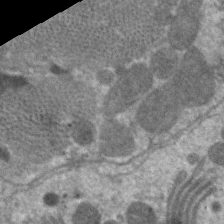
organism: C. elegans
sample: Pharynx